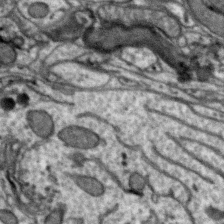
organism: Zebra finch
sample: Brain